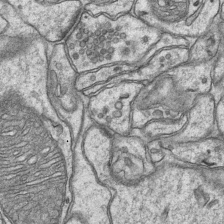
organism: Mouse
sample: CA1 Hippocampus